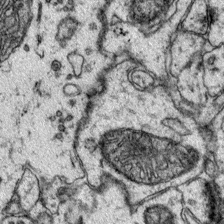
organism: Mouse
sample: Primary visual cortex